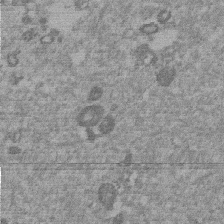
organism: Mouse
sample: Dividing mouse embryo 1 cell stage